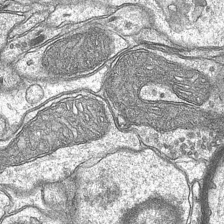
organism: Mouse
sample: CA1 Hippocampus